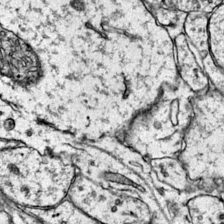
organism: Mouse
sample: Primary visual cortex